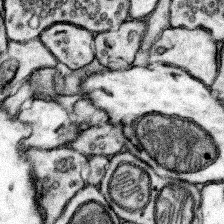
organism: Mouse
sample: Somatosensory cortex neuropil